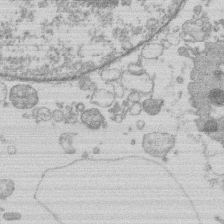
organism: Human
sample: Macrophage cells